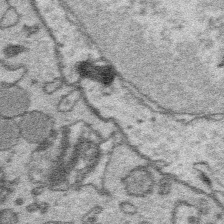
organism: Platynereis dumerilii